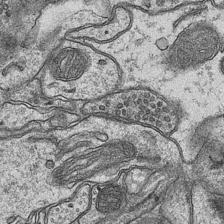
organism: Mouse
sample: CA1 Hippocampus